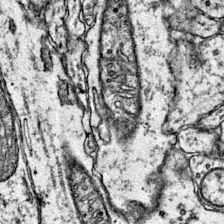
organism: Mouse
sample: Primary visual cortex